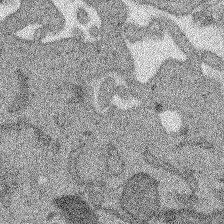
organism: Human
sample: HeLa cells